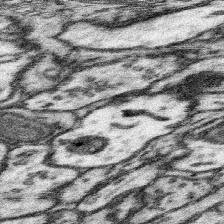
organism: Mouse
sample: Somatosensory cortex neuropil